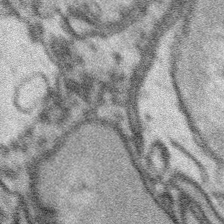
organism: Platynereis dumerilii